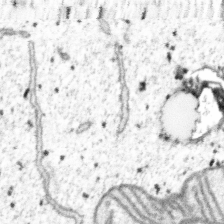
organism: Human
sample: HeLa cells